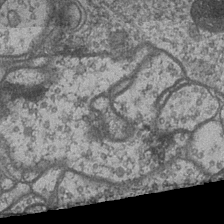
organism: Drosophila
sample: Optic medulla